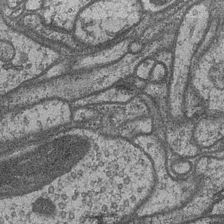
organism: Drosophila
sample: Optic medulla